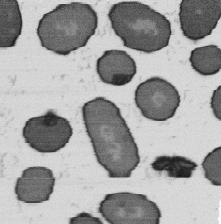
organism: B. subtilis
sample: Bacterial spore